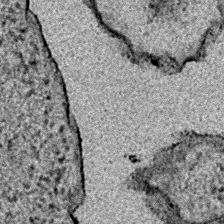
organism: E. coli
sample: E. Coli Bacteria